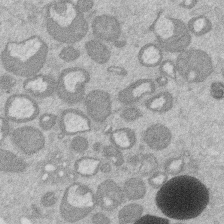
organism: Mouse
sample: Dividing mouse embryo 1 cell stage